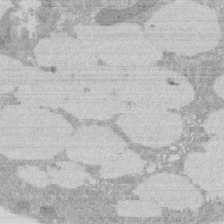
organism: Rat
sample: Salivary granule